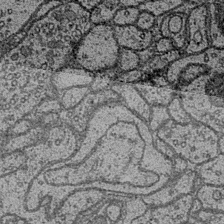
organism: Drosophila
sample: Optic medulla